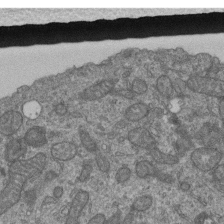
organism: Human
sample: Retinal organoid Rod and Cone cells